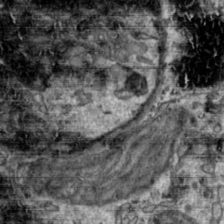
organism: Toxoplasma gondii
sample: Parasites in a vacuole inside a host cell